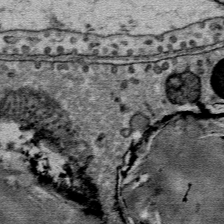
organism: Mouse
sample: Mouse Salivary gland